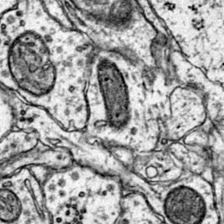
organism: Mouse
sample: Primary visual cortex